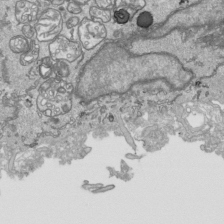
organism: Human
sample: Mitochondria in HCT116 cells